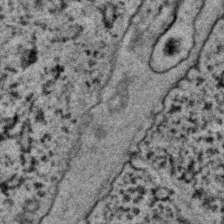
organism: C. elegans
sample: C. elegans embryo